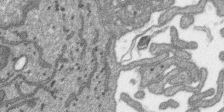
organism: Human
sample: Lung epithelial cells infected with SARS-CoV-2